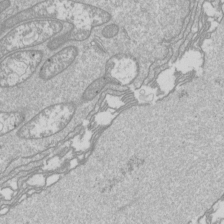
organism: Drosophila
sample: Cell division; meiosis; drosophila spermatocytes